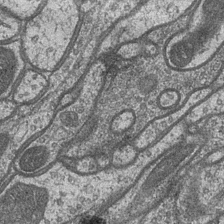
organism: Drosophila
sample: Optic medulla